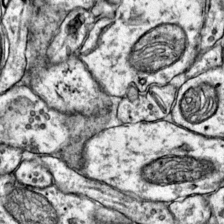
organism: Mouse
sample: Primary visual cortex